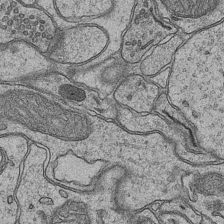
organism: Mouse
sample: CA1 Hippocampus